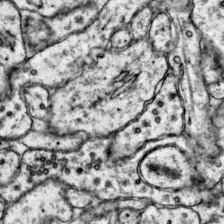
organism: Mouse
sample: Primary visual cortex